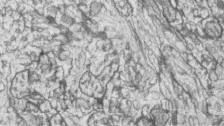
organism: Zebrafish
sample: synaptic ribbons in rod cells and cone cells